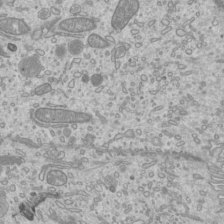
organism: Mouse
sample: Cilia; mouse epididymis